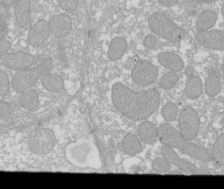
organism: Xenopus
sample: Cilia; centrioles in frog embryo cells